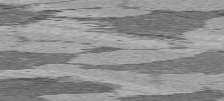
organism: C57BL Mouse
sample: Heart